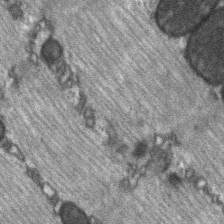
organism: C57BL Mouse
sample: Soleus